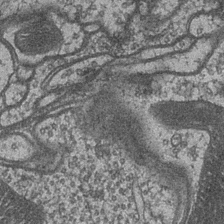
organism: Drosophila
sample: Optic medulla